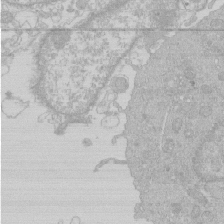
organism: Human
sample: Macrophage cells